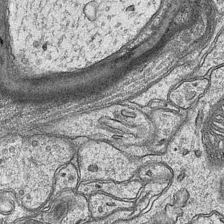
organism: Mouse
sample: CA1 Hippocampus